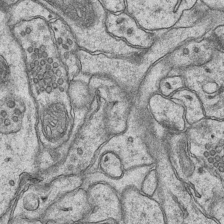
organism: Mouse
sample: CA1 Hippocampus